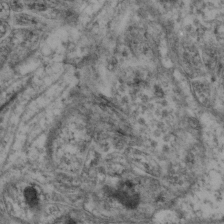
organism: Mouse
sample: Neocortex